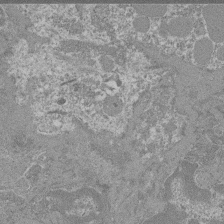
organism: Mouse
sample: Glomerulus